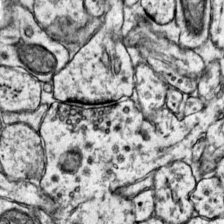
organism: Mouse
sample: Primary visual cortex